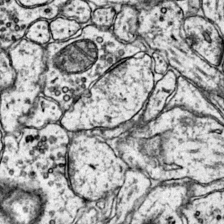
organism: Mouse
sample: Primary visual cortex